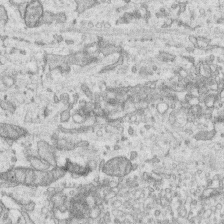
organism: Human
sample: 1205lu cells